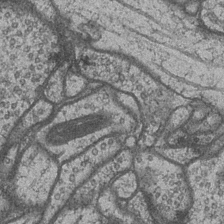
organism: Drosophila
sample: Optic medulla